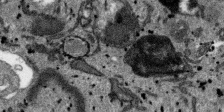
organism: Human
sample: Lung epithelial cells, uninfected (mock) control